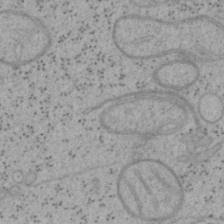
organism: Human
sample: HeLa cells